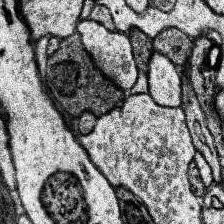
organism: Human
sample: Temporal Lobe